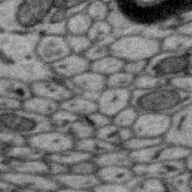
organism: Zebra finch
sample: Brain